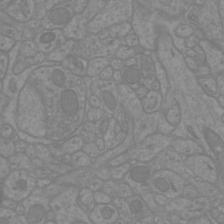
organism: Mouse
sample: Cortical neurons